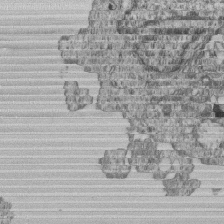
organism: Human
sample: MDA-MB-231 cells